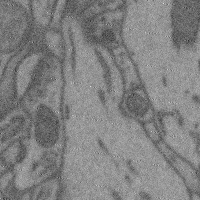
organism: Mouse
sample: Cerebral cortex